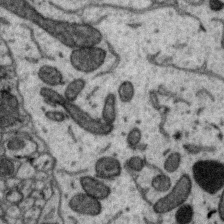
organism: Zebra finch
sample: Brain